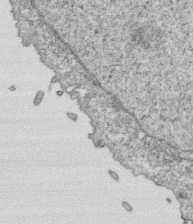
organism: Human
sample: HeLa cell HIV synapse